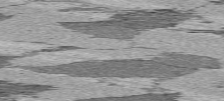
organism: C57BL Mouse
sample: Heart